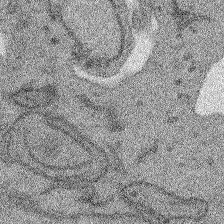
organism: Human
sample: HeLa cells